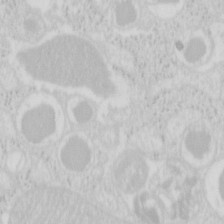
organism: Mouse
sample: Pancreas